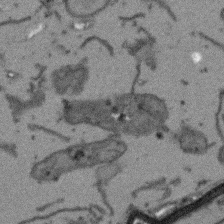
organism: Arabidopsis thaliana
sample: Root tip